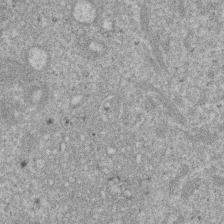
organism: Mouse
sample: Dividing mouse embryo 1 cell stage